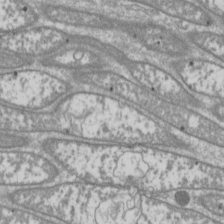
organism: Drosophila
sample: Cell division; meiosis; drosophila spermatocytes